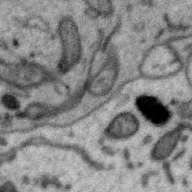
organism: Zebra finch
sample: Brain